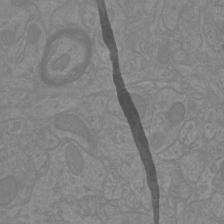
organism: Mouse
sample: Cortical neurons